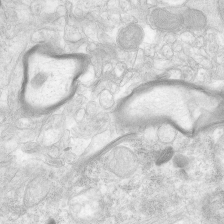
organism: Human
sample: Neocortex